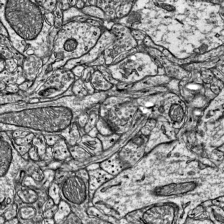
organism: Mouse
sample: Visual Cortex